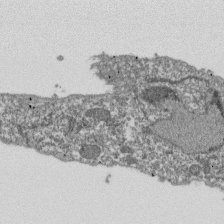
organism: Dictyostelium discoideum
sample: Dictyostelium multivesicular bodies